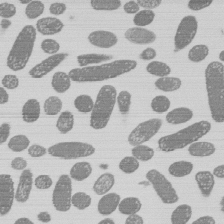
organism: E. coli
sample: Bacterial nucleoid